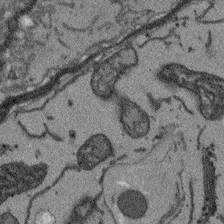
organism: Arabidopsis thaliana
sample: Root tip